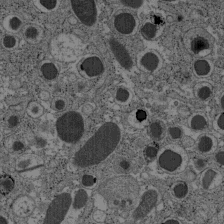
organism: C57BL Mouse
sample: Pancreatic islet